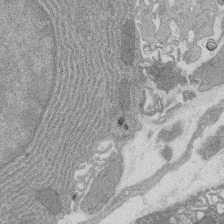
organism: Rat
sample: Salivary granule